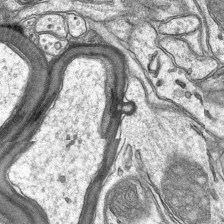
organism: Mouse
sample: CA1 Hippocampus